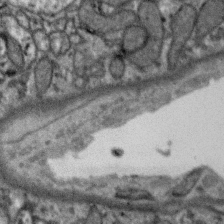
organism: Zebra finch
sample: Brain